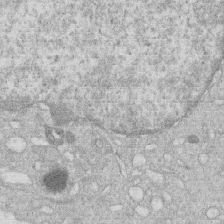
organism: Human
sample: Macrophage cells